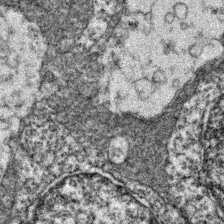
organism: Zebrafish